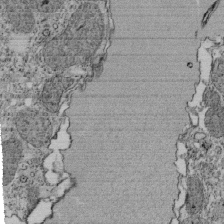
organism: Tetrahymena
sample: Cilia in tetrahymena